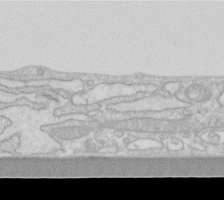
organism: Human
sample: Fibroblast cells